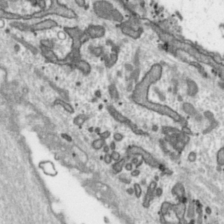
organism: Toxoplasma gondii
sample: Parasites in a vacuole inside a host cell